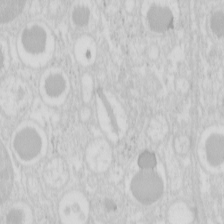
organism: Mouse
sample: Pancreas